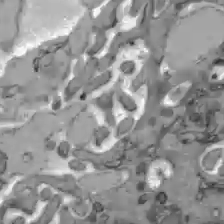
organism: C57BL Mouse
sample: Liver